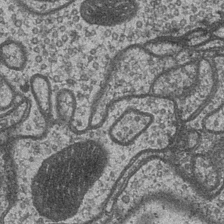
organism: Drosophila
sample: Optic medulla